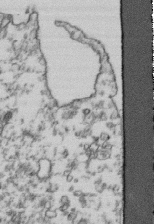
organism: Human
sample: Activated Jurkat CD4+ T cells